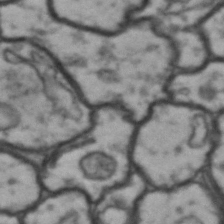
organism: Drosophila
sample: Brain